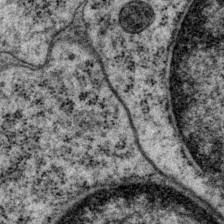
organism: P. pacificus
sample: Pharynx